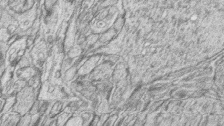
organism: Zebrafish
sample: synaptic ribbons in rod cells and cone cells